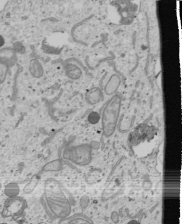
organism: Human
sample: Mitochondria in U2OS cells